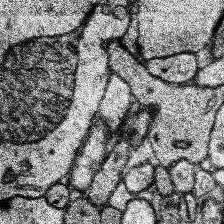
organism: Human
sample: Temporal Lobe